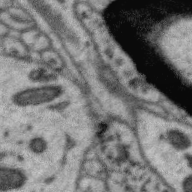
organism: Zebra finch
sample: Brain